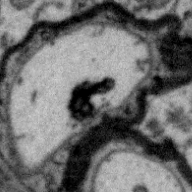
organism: Zebra finch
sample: Brain